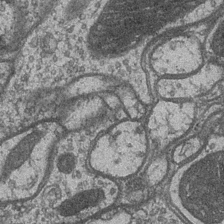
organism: Drosophila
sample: Optic medulla